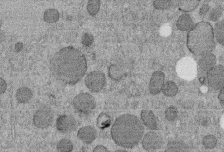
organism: C. elegans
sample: C. elegans embryo early stage